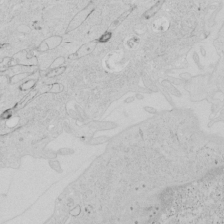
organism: Human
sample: Mitochondria in HCT116 cells